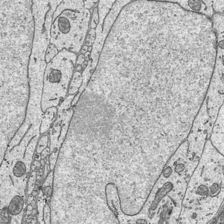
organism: Mouse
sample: Suprachiasmatic nucleus